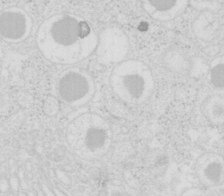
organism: Mouse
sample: Pancreas